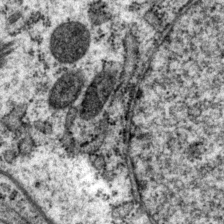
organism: P. pacificus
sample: Pharynx